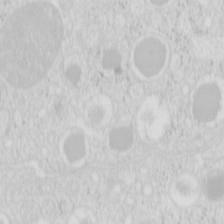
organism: Mouse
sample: Pancreas